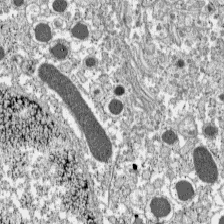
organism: C57BL Mouse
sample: Pancreatic islet